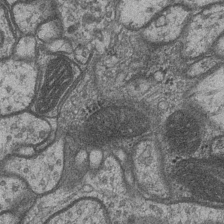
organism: Drosophila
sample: Optic medulla